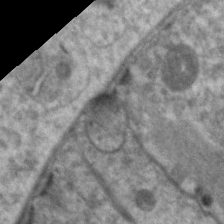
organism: C. elegans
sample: Pharynx